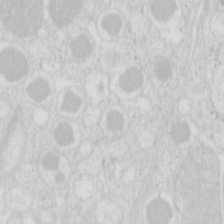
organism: Mouse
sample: Pancreas